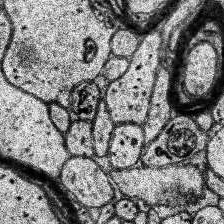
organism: Human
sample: Temporal Lobe